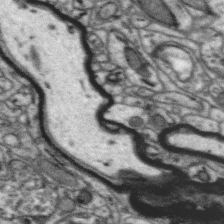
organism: Zebra finch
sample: Brain